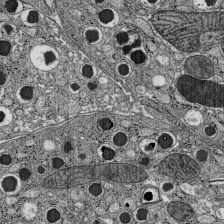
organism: C57BL Mouse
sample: Pancreatic islet